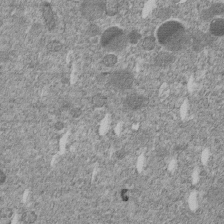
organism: C. elegans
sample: C. elegans embryo early stage